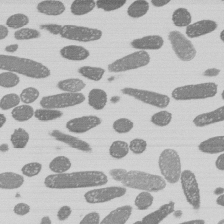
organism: E. coli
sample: Bacterial nucleoid